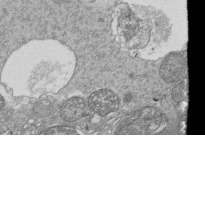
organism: Tetrahymena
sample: Cilia in tetrahymena